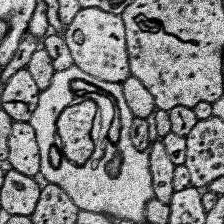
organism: Human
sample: Temporal Lobe